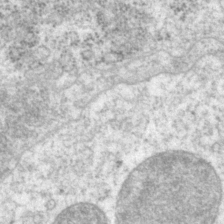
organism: P. pacificus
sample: Pharynx